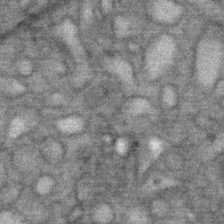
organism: Mouse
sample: Mouse Salivary gland